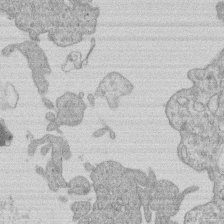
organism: Human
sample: Macrophage cells